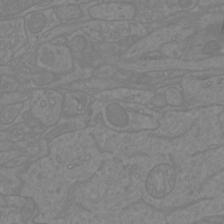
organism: Mouse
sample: Cortical neurons